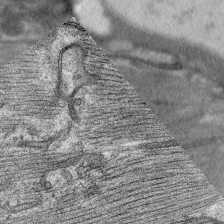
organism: C. elegans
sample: Pharynx